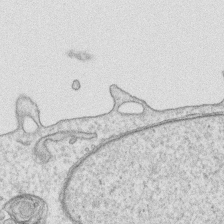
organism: Human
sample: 1205lu cells